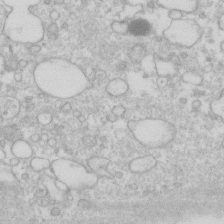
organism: Human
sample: Fibroblast cells